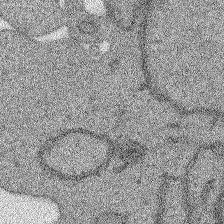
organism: Human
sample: HeLa cells